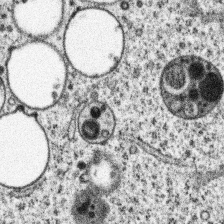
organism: Human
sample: HeLa cells